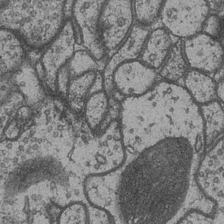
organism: Drosophila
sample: Optic medulla